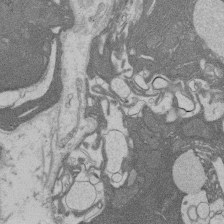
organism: Rat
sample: Salivary granule